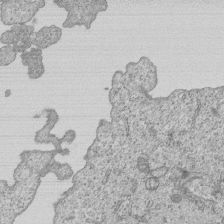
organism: Human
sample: MDA-MB-231 cells